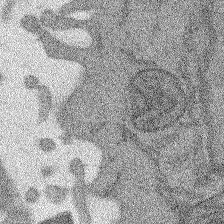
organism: Human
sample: HeLa cells